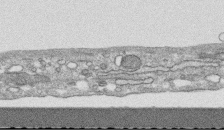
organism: Human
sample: CRL-1474